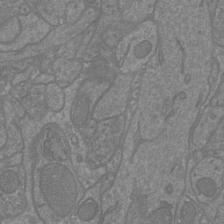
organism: Mouse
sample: Cortical neurons